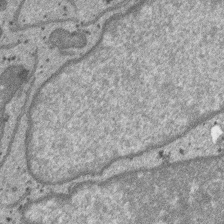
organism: Human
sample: Lung epithelial cells infected with SARS-CoV-2